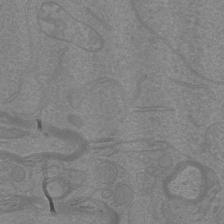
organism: Mouse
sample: Cortical neurons